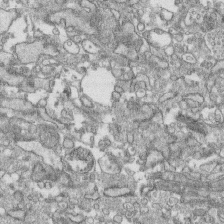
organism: Human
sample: CRL-1474